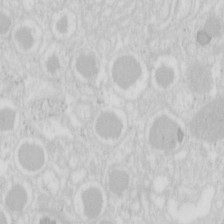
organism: Mouse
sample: Pancreas